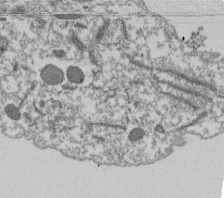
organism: Dictyostelium discoideum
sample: Dictyostelium multivesicular bodies